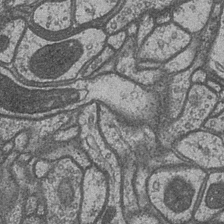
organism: Drosophila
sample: Optic medulla